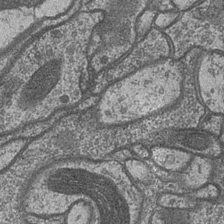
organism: Drosophila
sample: Optic medulla